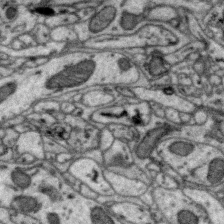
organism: Zebra finch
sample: Brain